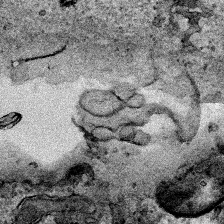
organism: Human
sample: Mitochondria in HCT116 cells